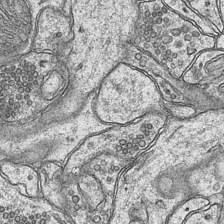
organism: Mouse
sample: CA1 Hippocampus